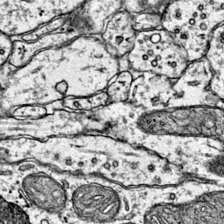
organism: Mouse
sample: Primary visual cortex